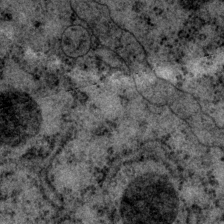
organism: P. pacificus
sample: Pharynx